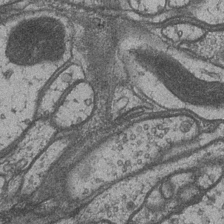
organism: Drosophila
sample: Optic medulla